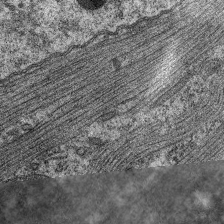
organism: C. elegans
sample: Pharynx